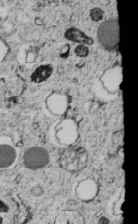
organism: C. elegans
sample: C. elegans embryo early stage